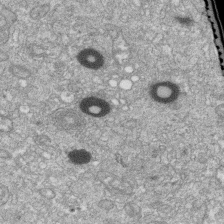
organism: Human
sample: HeLa cell HIV synapse